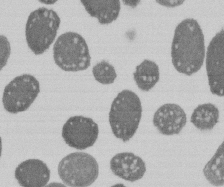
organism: E. coli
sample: Bacterial nucleoid